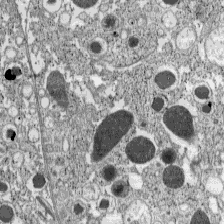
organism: C57BL Mouse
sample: Pancreatic islet